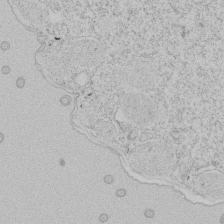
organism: Tetrahymena